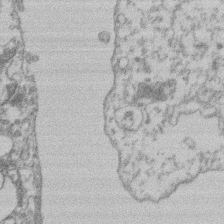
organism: Mouse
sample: T cell stromal cell synapse